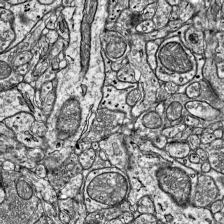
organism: Mouse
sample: Visual Cortex